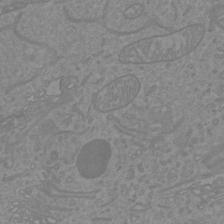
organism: Mouse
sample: Cortical neurons